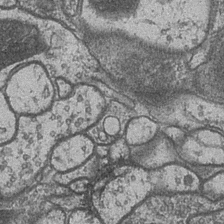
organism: Drosophila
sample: Optic medulla